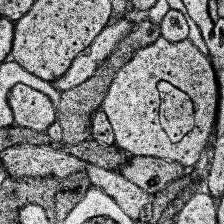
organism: Human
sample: Temporal Lobe